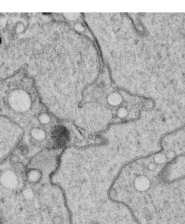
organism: C. elegans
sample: C. elegans oocyte; sperm cells